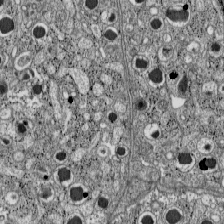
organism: C57BL Mouse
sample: Pancreatic islet